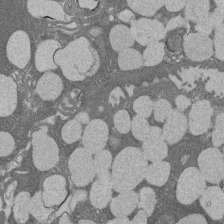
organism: Rat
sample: Salivary granule